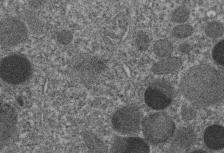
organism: C. elegans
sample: C. elegans embryo early stage